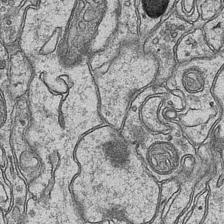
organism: Mouse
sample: CA1 Hippocampus